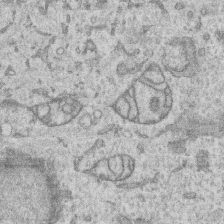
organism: Human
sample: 1205lu cells